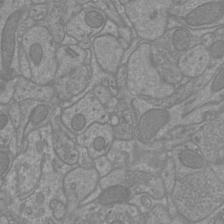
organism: Mouse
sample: Cortical neurons